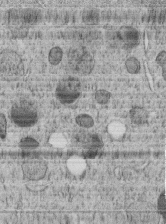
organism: C. elegans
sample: C. elegans embryo early stage